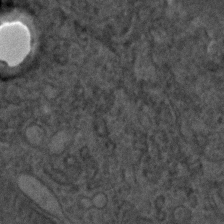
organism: C. elegans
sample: C. elegans embryo